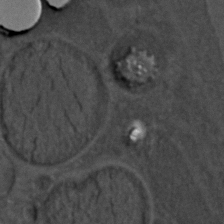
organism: C. elegans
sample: C. elegans embryo